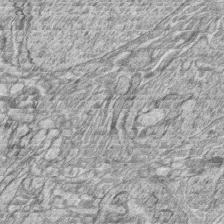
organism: Zebrafish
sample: synaptic ribbons in rod cells and cone cells